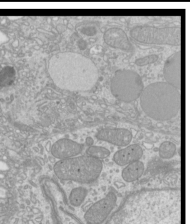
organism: Mouse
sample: Cilia; mouse epididymis